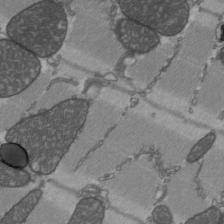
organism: C57BL Mouse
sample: Heart